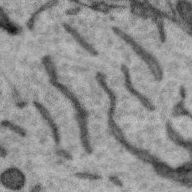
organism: Zebra finch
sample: Brain